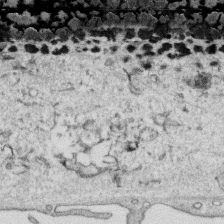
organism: Human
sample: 1205lu cells